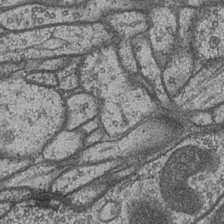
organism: Drosophila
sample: Optic medulla